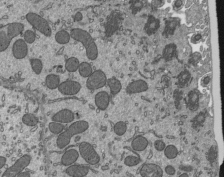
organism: Mouse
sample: Mouse epididymis efferent ductule cilia